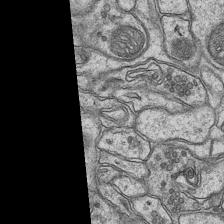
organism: Mouse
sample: CA1 Hippocampus